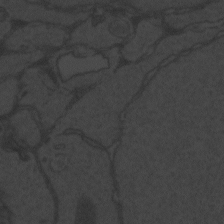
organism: Zebrafish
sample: Macrophage infected with Toxoplasma gondii